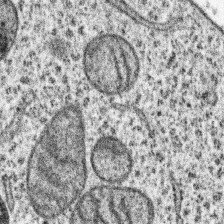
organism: Human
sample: HeLa cells